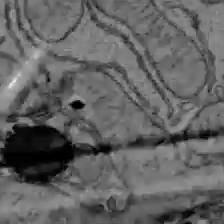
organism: C57BL Mouse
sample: Liver